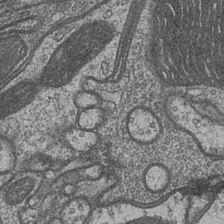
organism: Drosophila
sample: Optic medulla